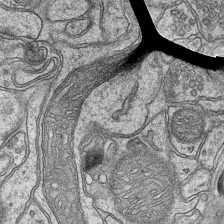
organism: Mouse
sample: CA1 Hippocampus